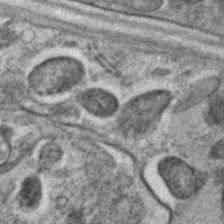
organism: C. elegans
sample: C. elegans embryo